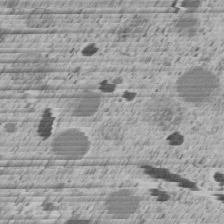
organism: C. elegans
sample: C. elegans embryo early stage